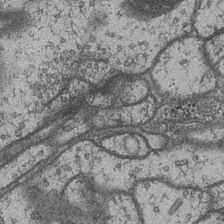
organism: Drosophila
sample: Optic medulla